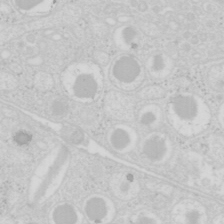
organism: Mouse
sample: Pancreas